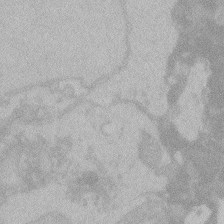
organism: Zebrafish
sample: Macrophage infected with Toxoplasma gondii